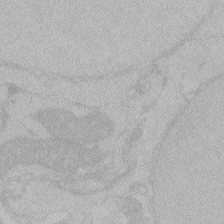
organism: Zebrafish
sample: Macrophage infected with Toxoplasma gondii